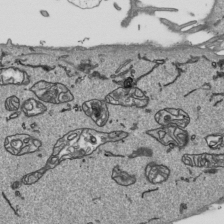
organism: Human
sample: Mitochondria in HCT116 cells